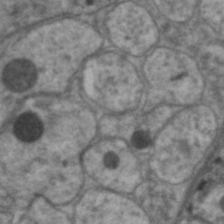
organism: C. elegans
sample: Pharynx